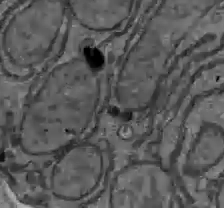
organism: C57BL Mouse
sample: Liver